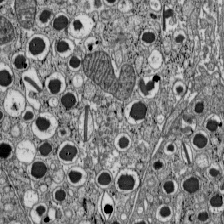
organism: C57BL Mouse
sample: Pancreatic islet